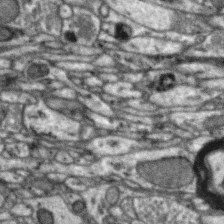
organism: Zebra finch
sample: Brain